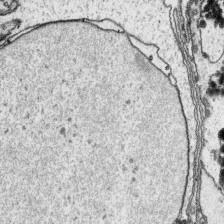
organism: Platynereis dumerilii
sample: Parapodia